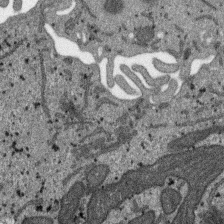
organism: Human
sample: Lung epithelial cells infected with SARS-CoV-2